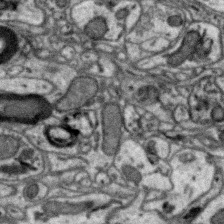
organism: Zebra finch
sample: Brain